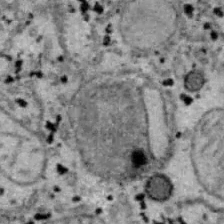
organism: Mouse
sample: Liver from an obese (ob/ob) mouse